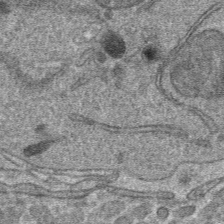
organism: Mouse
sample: Mouse hepatocytes